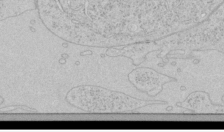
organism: Human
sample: Mitochondria in HCT116 cells